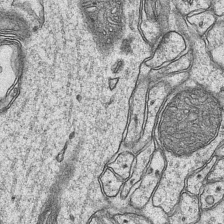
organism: Mouse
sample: CA1 Hippocampus